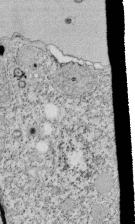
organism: Tetrahymena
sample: Cilia in tetrahymena